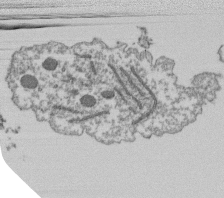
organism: Dictyostelium discoideum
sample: Dictyostelium multivesicular bodies